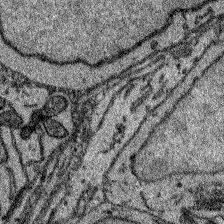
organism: Zebrafish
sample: Larval olfactory bulb